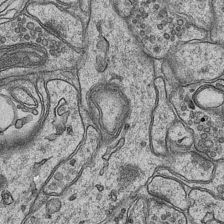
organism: Mouse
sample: CA1 Hippocampus